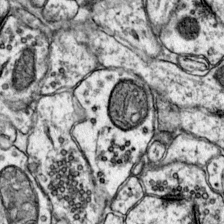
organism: Mouse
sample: Primary visual cortex